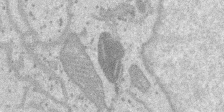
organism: Human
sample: Lung epithelial cells infected with SARS-CoV-2